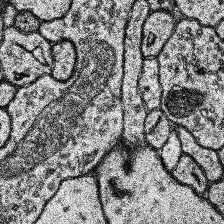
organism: Human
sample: Temporal Lobe